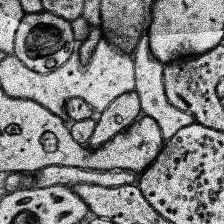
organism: Human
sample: Temporal Lobe